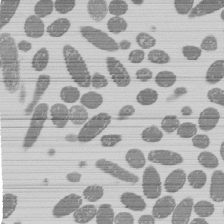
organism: E. coli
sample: Bacterial nucleoid